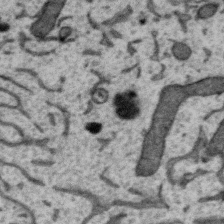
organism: Zebra finch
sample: Brain